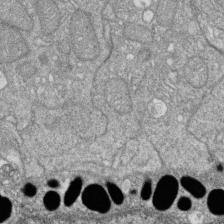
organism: Zebrafish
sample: Cilia; retinal pigment epithelium